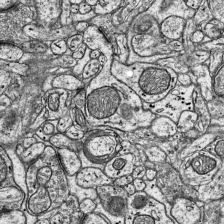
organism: Mouse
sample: Visual Cortex